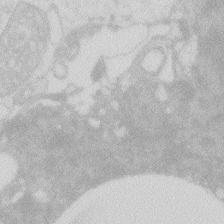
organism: Zebrafish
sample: Macrophage